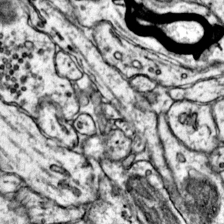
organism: Mouse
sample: Primary visual cortex